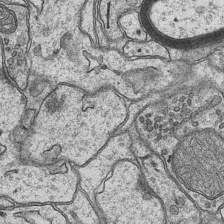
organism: Mouse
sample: CA1 Hippocampus